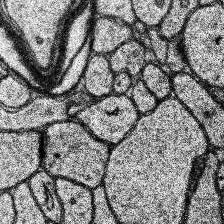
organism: Human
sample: Temporal Lobe